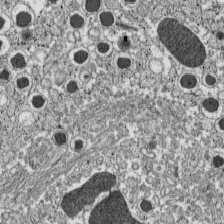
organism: C57BL Mouse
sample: Pancreatic islet